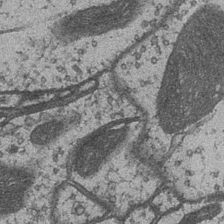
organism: Drosophila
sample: Optic medulla